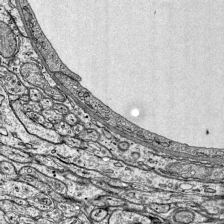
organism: Mouse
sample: Visual Cortex